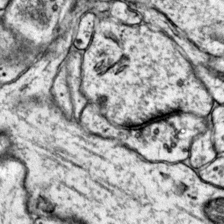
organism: Mouse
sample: Primary visual cortex